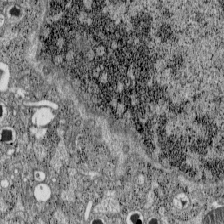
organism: C57BL Mouse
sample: Pancreatic islet